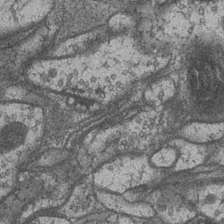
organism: Drosophila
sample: Optic medulla